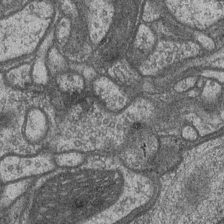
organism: Drosophila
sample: Optic medulla